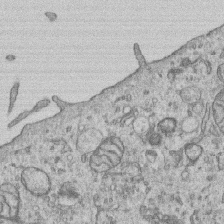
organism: Human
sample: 1205lu cells